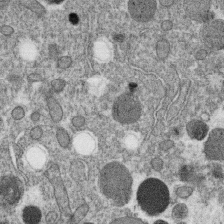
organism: C. elegans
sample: C. elegans oocyte; sperm cells